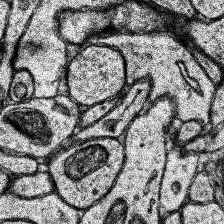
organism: Human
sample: Temporal Lobe